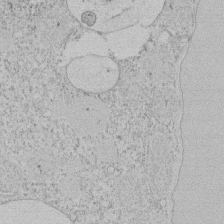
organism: Tetrahymena